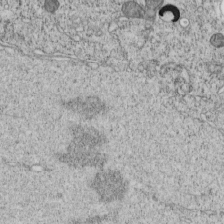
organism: C. elegans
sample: C. elegans embryo early stage